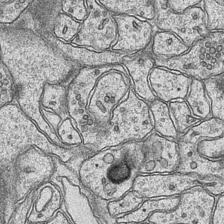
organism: Mouse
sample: CA1 Hippocampus